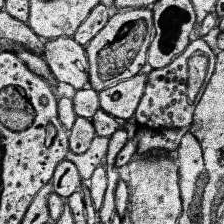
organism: Human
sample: Temporal Lobe